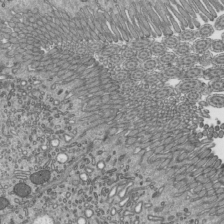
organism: Mouse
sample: Mouse epididymis efferent ductule cilia